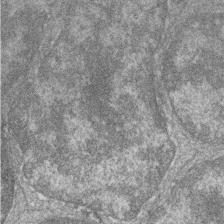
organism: Zebrafish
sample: Cilia; retinal pigment epithelium